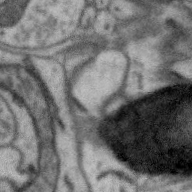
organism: Zebra finch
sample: Brain